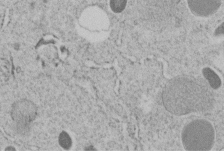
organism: C. elegans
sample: C. elegans embryo early stage